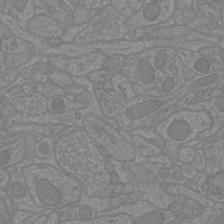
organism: Mouse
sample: Cortical neurons